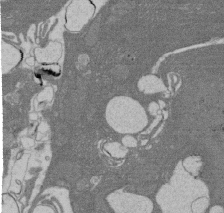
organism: Rat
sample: Salivary granule